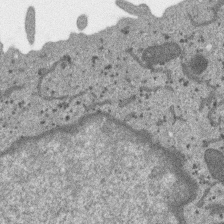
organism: Human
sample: Lung epithelial cells infected with SARS-CoV-2